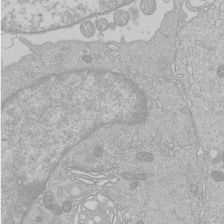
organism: Human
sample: Macrophage cells